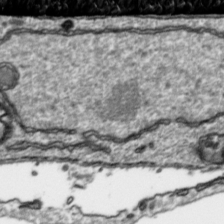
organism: Toxoplasma gondii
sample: Parasites in a vacuole inside a host cell